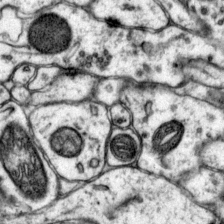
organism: Mouse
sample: Primary visual cortex